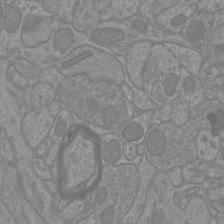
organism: Mouse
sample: Cortical neurons